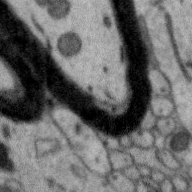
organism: Zebra finch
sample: Brain